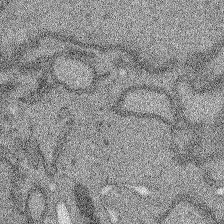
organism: Human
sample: HeLa cells